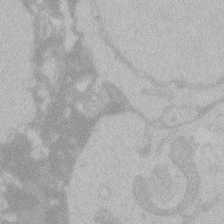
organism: Zebrafish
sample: Macrophage infected with Toxoplasma gondii